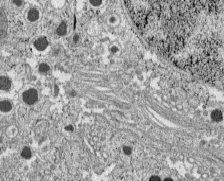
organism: C57BL Mouse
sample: Pancreatic islet